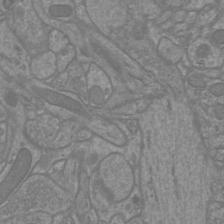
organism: Mouse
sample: Cortical neurons